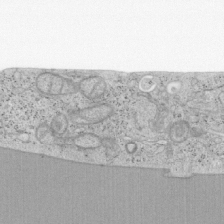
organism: Human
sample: HeLa cells